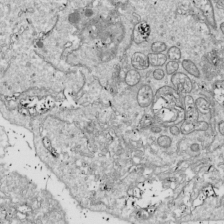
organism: Drosophila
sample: Cell division; meiosis; drosophila spermatocytes